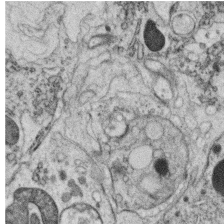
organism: C. elegans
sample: C. elegans oocyte; sperm cells